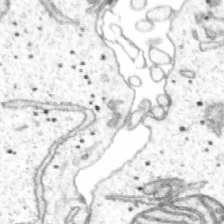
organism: Human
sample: HeLa cells